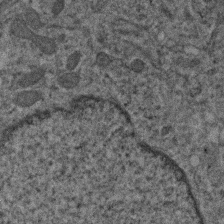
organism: Human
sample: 1205lu cells